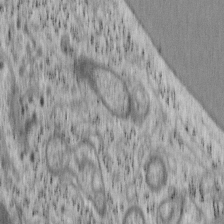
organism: Human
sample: HeLa cells